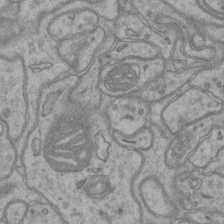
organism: Mouse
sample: CA1 Hippocampus